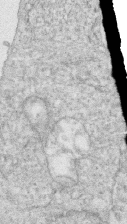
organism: Human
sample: HeLa cell HIV synapse